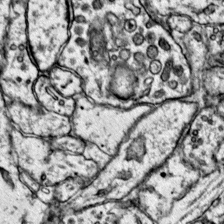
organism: Mouse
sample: Primary visual cortex